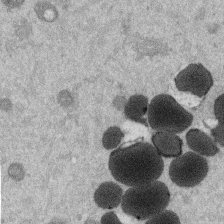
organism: Mouse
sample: Dividing mouse embryo 1 cell stage